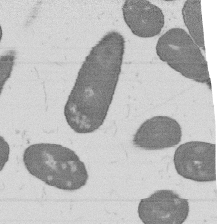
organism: B. subtilis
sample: Bacterial spore